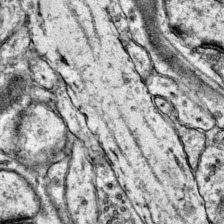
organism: Mouse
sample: Primary visual cortex